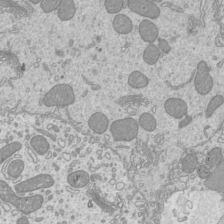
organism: Mouse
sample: Cilia; mouse epididymis